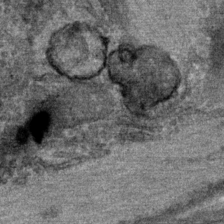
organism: Mouse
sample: Mouse Salivary gland